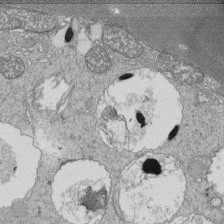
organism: Tetrahymena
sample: Cilia in tetrahymena